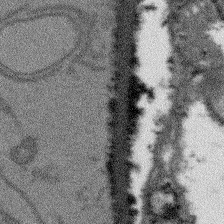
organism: Arabidopsis thaliana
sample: Root tip